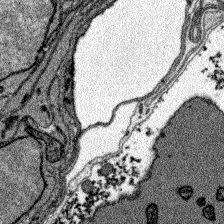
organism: Zebrafish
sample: Larval olfactory bulb